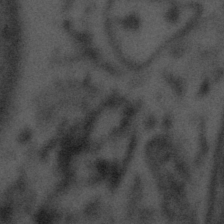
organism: Tuwongella immobilis